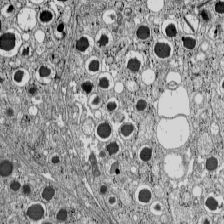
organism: C57BL Mouse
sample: Pancreatic islet